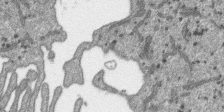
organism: Human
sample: Lung epithelial cells infected with SARS-CoV-2